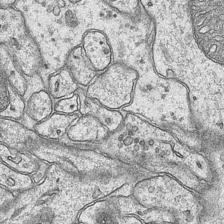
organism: Mouse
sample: CA1 Hippocampus